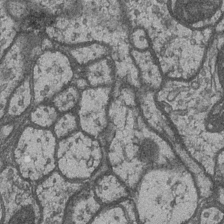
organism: Drosophila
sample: Optic medulla